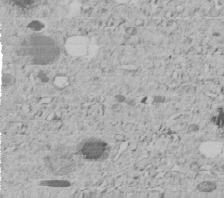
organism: C. elegans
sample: C. elegans embryo early stage